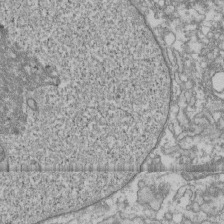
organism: Human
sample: Fibroblast cells